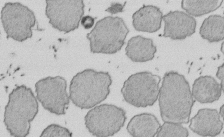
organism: E. coli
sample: Bacterial nucleoid